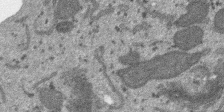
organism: Human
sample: Lung epithelial cells infected with SARS-CoV-2